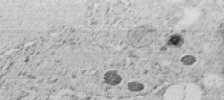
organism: C. elegans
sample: C. elegans embryo early stage